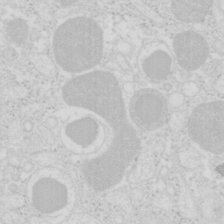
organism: Mouse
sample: Pancreas